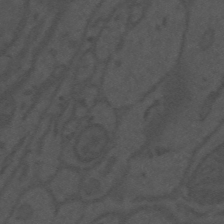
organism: Mouse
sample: Suprachiasmatic nucleus